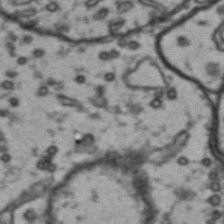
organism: Drosophila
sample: Brain